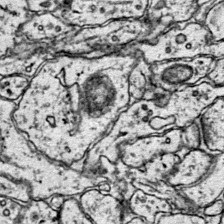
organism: Mouse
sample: Primary visual cortex